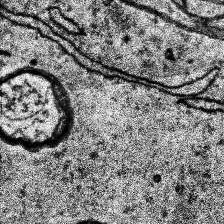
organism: Human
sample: Temporal Lobe